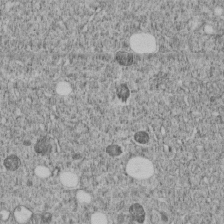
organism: C. elegans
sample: C. elegans embryo early stage